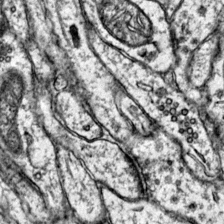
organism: Mouse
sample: Primary visual cortex